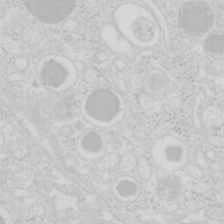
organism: Mouse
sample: Pancreas